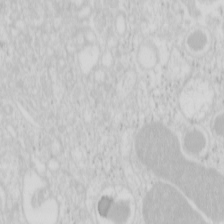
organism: Mouse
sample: Pancreas